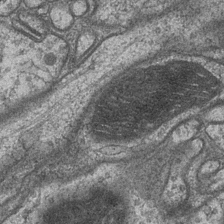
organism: Drosophila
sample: Optic medulla